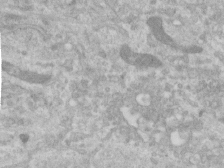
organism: Human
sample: Centriole in RPE cells